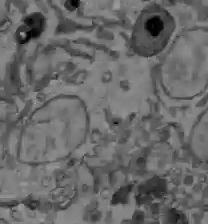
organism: C57BL Mouse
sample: Liver